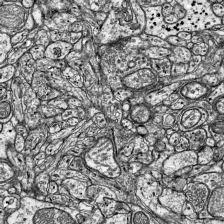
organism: Mouse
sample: Visual Cortex